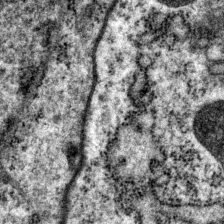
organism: P. pacificus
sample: Pharynx